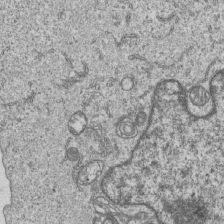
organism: Human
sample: MDA-MB-231 cells